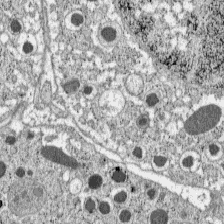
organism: C57BL Mouse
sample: Pancreatic islet